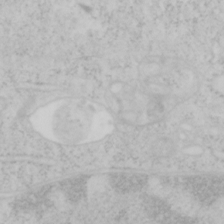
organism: Mouse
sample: OT-I killer T cells with ID8 ovarian cancer cells